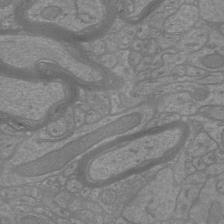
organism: Mouse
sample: Cortical neurons